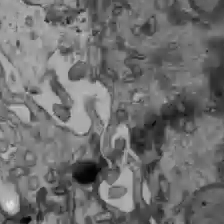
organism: C57BL Mouse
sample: Liver